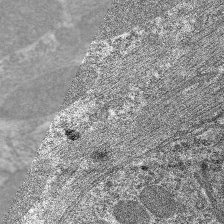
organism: C. elegans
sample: Pharynx